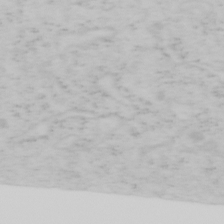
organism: Mouse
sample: OT-I killer T cells with ID8 ovarian cancer cells